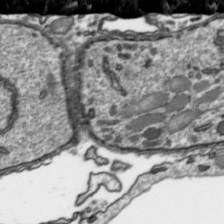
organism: Toxoplasma gondii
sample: Parasites in a vacuole inside a host cell